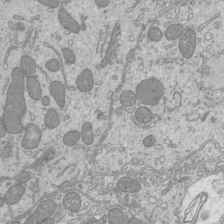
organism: Mouse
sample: Cilia; mouse epididymis